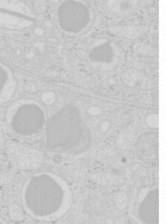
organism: Mouse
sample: Pancreas